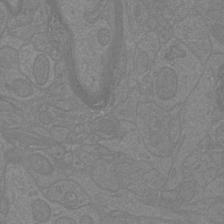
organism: Mouse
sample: Cortical neurons